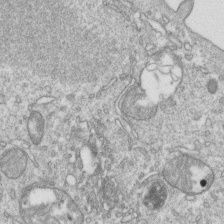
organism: Mouse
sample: Activated OT-1 CD8+ T cells